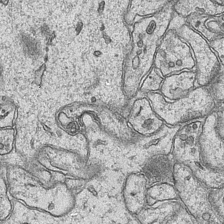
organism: Mouse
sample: CA1 Hippocampus